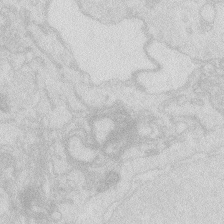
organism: Zebrafish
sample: Macrophage